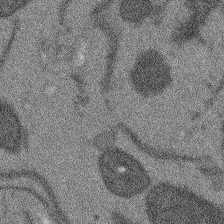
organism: Arabidopsis thaliana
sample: Root tip